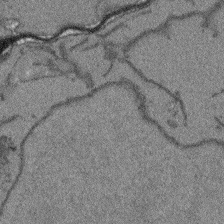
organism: Arabidopsis thaliana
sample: Root tip